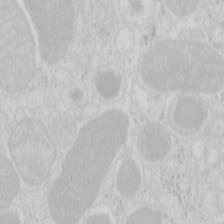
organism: Mouse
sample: Pancreas